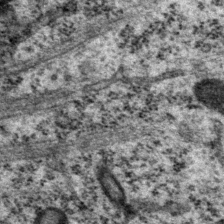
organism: P. pacificus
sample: Pharynx